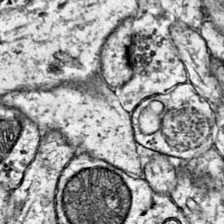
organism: Mouse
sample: Primary visual cortex